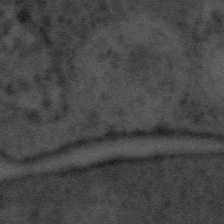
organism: Tuwongella immobilis